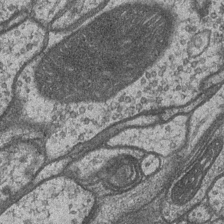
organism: Drosophila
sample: Optic medulla